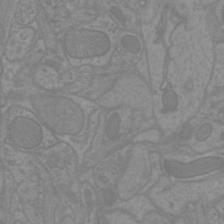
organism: Mouse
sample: Cortical neurons